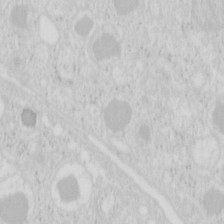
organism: Mouse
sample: Pancreas